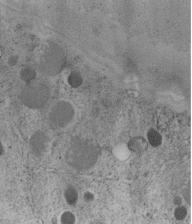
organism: C. elegans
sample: C. elegans embryo early stage